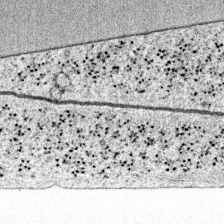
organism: Human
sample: HeLa cells